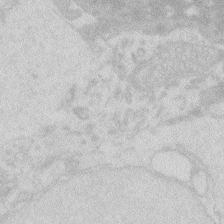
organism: Zebrafish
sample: Macrophage